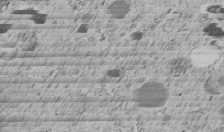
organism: C. elegans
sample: C. elegans embryo early stage